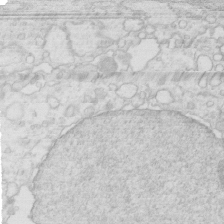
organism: Mouse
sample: Multiciliated cells